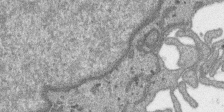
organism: Human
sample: Lung epithelial cells infected with SARS-CoV-2